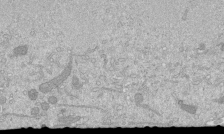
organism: Mouse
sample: ED-1 cell nuclei; centrioles